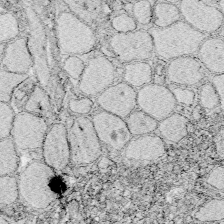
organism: Zebrafish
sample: Whole-Brain